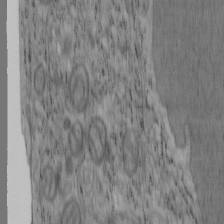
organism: Human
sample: HeLa cells